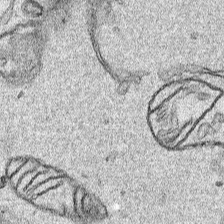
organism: Human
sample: Mitochondria in HCT116 cells